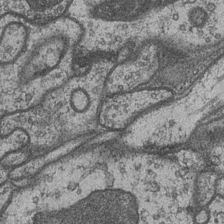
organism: Drosophila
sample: Optic medulla